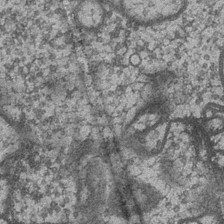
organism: Drosophila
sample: Optic medulla